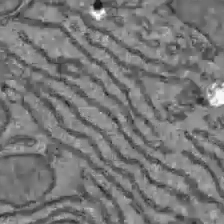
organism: C57BL Mouse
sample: Liver